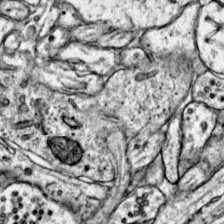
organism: Mouse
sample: Primary visual cortex